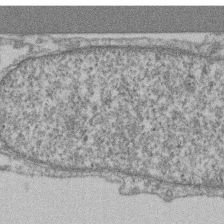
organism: Mouse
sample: T cell stromal cell synapse